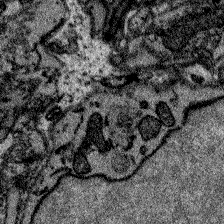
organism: Zebrafish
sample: Larval olfactory bulb